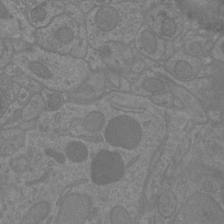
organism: Mouse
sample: Cortical neurons